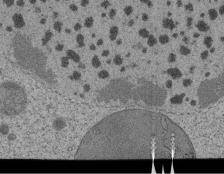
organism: Tetrahymena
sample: Cilia in tetrahymena